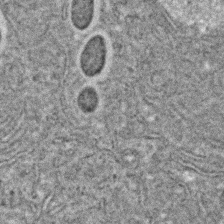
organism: C. elegans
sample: C. elegans embryo